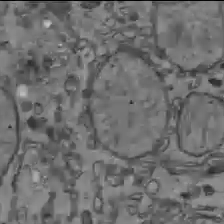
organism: C57BL Mouse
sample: Liver